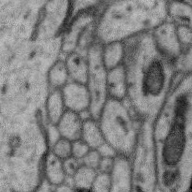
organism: Zebra finch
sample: Brain